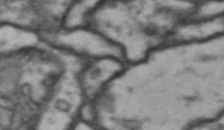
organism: Drosophila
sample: Brain